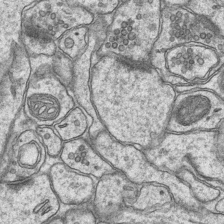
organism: Mouse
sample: CA1 Hippocampus